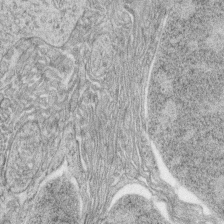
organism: Zebrafish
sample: synaptic ribbons in rod cells and cone cells